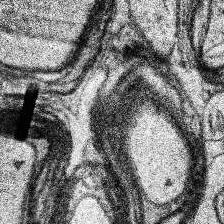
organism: Human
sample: Temporal Lobe